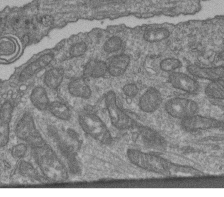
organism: Human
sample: Retinal organoid Rod and Cone cells